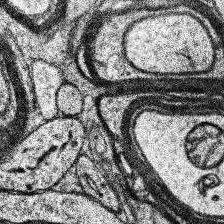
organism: Human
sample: Temporal Lobe